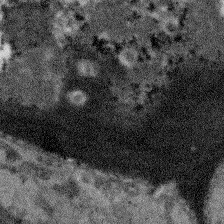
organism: Arabidopsis thaliana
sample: Root tip